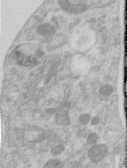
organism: Human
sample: Centriole in RPE cells